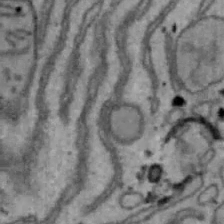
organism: Mouse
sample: Liver